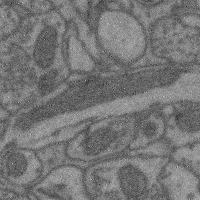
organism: Mouse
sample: Cerebral cortex